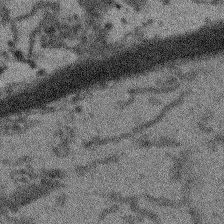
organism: Arabidopsis thaliana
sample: Root tip